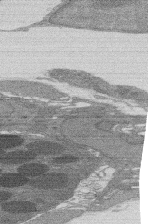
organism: Rat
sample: Salivary granule